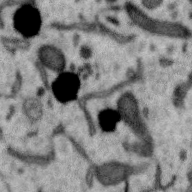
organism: Zebra finch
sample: Brain